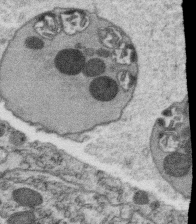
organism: C. elegans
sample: C. elegans oocyte; sperm cells